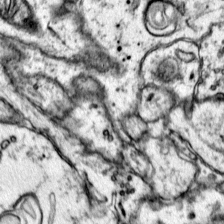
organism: Mouse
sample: Primary visual cortex